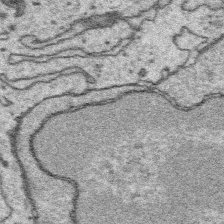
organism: Platynereis dumerilii